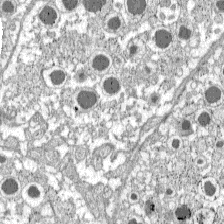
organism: C57BL Mouse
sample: Pancreatic islet